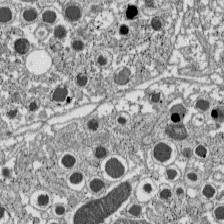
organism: C57BL Mouse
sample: Pancreatic islet